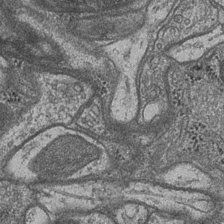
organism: Drosophila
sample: Optic medulla